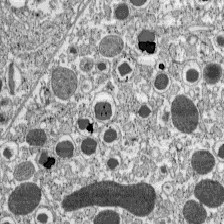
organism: C57BL Mouse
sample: Pancreatic islet